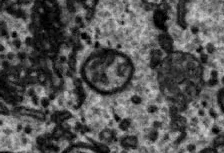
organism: Human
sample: HeLa cells